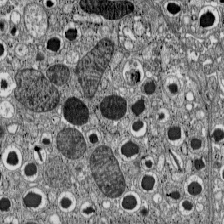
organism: C57BL Mouse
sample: Pancreatic islet